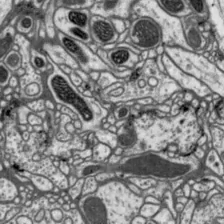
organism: Drosophila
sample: Protocerebral bridge